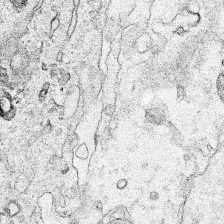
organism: Human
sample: Mitochondria in HCT116 cells